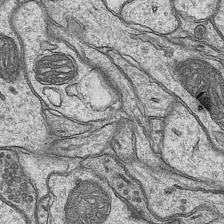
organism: Mouse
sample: CA1 Hippocampus